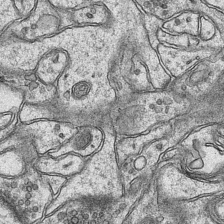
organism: Mouse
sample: CA1 Hippocampus